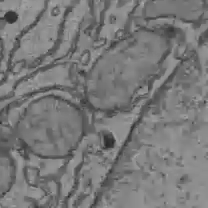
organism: C57BL Mouse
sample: Liver